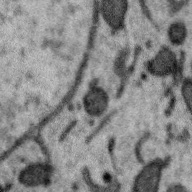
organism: Zebra finch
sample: Brain